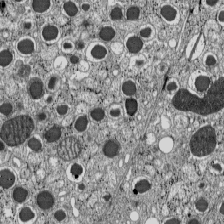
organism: C57BL Mouse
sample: Pancreatic islet